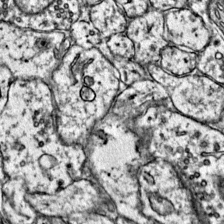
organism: Mouse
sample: Primary visual cortex